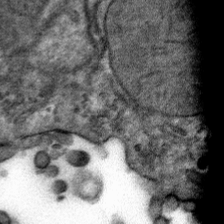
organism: Mouse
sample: Mouse hepatocytes